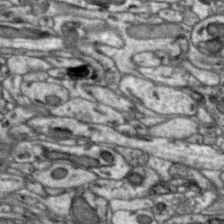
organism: Zebra finch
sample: Brain